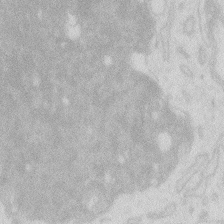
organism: Zebrafish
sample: Macrophage